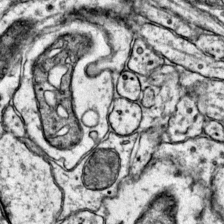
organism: Mouse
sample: Primary visual cortex